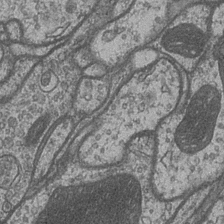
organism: Drosophila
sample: Optic medulla